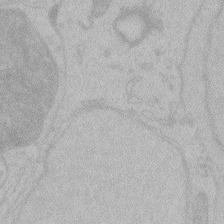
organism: Zebrafish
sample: Macrophage infected with Toxoplasma gondii